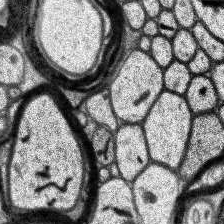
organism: Human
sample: Temporal Lobe